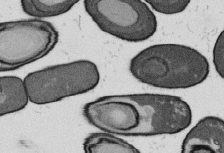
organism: B. subtilis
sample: Bacterial spore